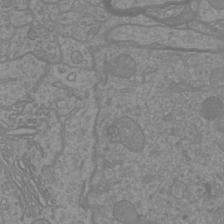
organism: Mouse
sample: Cortical neurons